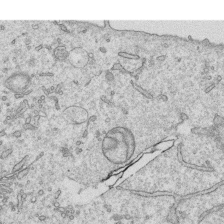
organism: Human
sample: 1205lu cells